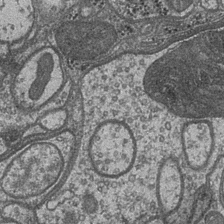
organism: Drosophila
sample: Optic medulla